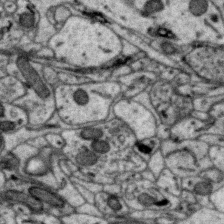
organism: Zebra finch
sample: Brain